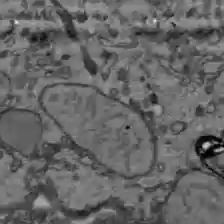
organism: C57BL Mouse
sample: Liver